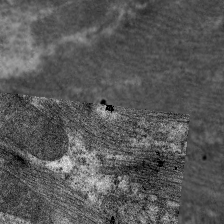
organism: C. elegans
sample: Pharynx